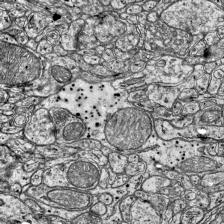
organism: Mouse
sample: Visual Cortex